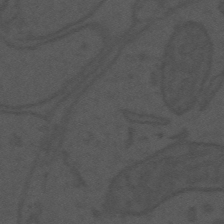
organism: Mouse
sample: Suprachiasmatic nucleus